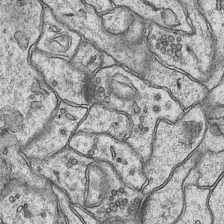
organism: Mouse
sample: CA1 Hippocampus